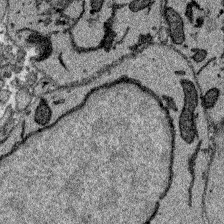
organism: Zebrafish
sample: Larval olfactory bulb